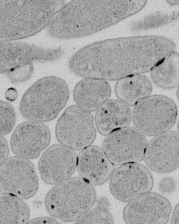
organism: E. coli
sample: Bacterial nucleoid